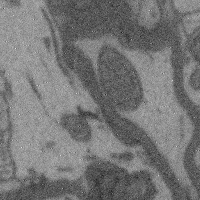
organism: Mouse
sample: Cerebral cortex